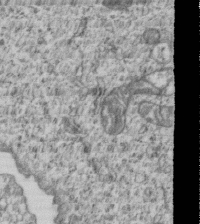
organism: Human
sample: MDA-MB-231 cells